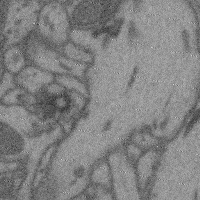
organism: Mouse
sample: Cerebral cortex